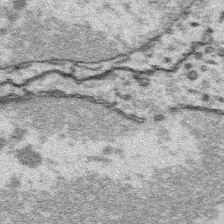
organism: Platynereis dumerilii